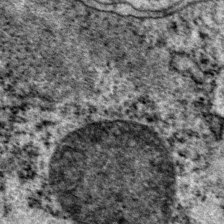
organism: P. pacificus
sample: Pharynx